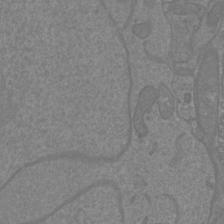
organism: Mouse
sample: Cortical neurons